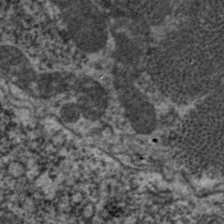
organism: C. elegans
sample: Pharynx